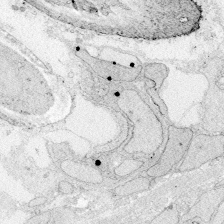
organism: Zebrafish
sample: Whole-Brain